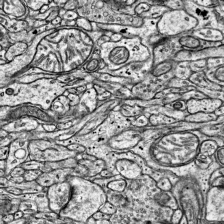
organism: Mouse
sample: Visual Cortex